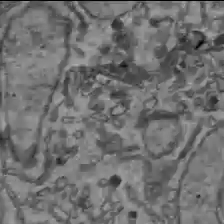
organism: C57BL Mouse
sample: Liver